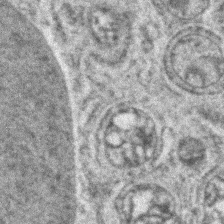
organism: Zebrafish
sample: Zebrafish embryo